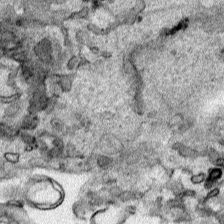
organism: Human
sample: Mitochondria in HCT116 cells